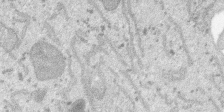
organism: Human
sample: Lung epithelial cells infected with SARS-CoV-2